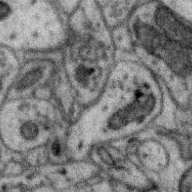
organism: Zebra finch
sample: Brain